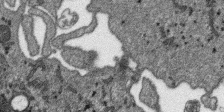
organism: Human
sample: Lung epithelial cells infected with SARS-CoV-2